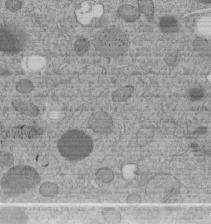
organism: C. elegans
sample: C. elegans embryo early stage